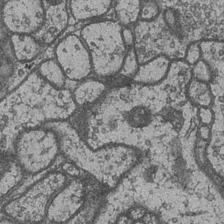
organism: Drosophila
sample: Optic medulla